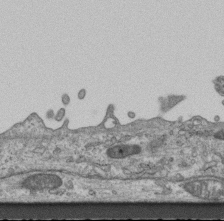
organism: Mouse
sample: Centriole in ependymal cells